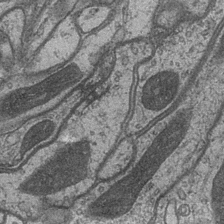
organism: Drosophila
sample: Optic medulla